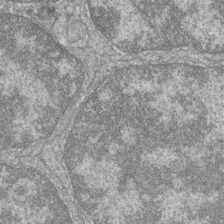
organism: Zebrafish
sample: Cilia; retinal pigment epithelium